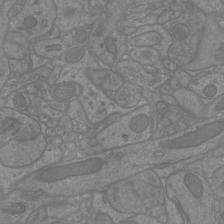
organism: Mouse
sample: Cortical neurons